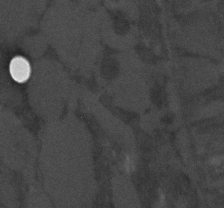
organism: C. elegans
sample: C. elegans embryo